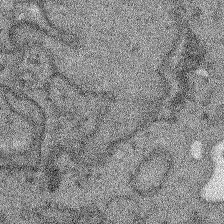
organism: Human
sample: HeLa cells